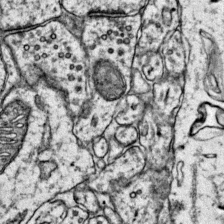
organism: Mouse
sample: Primary visual cortex